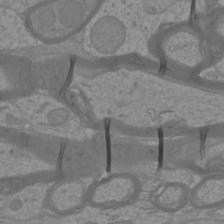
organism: Mouse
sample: Cortical neurons